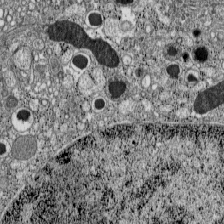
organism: C57BL Mouse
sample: Pancreatic islet